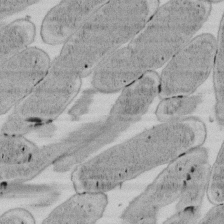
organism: E. coli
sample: Bacterial nucleoid